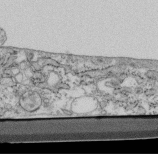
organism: Mouse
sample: Cilia; retinal pigment epithelium